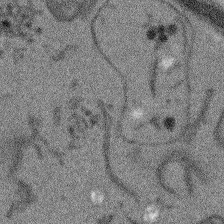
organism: Arabidopsis thaliana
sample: Root tip